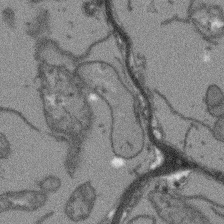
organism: Arabidopsis thaliana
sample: Root tip